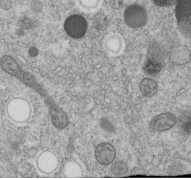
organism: C. elegans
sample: C. elegans embryo early stage